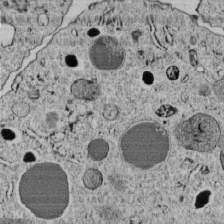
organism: C. elegans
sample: C. elegans embryo early stage